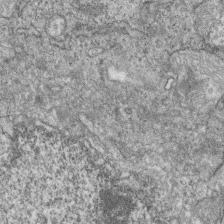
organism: Zebrafish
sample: Cilia; retinal pigment epithelium